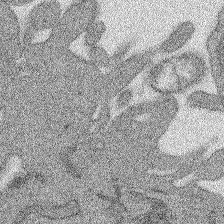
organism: Human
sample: HeLa cells